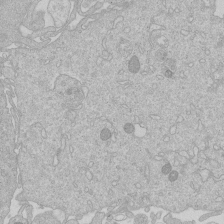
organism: Human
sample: Macrophage cells